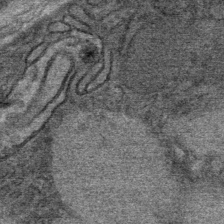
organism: Mouse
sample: Mouse Salivary gland